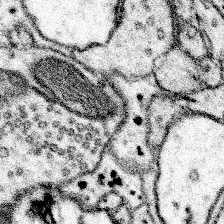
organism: Mouse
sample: Somatosensory cortex neuropil